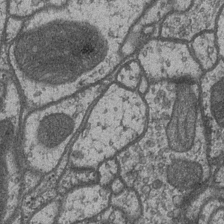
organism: Drosophila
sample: Optic medulla